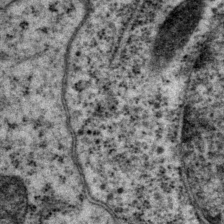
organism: P. pacificus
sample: Pharynx